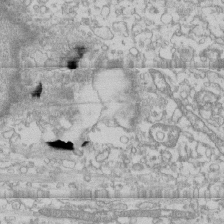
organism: Human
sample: CRL-1474